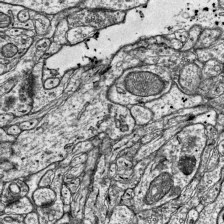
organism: Mouse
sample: Visual Cortex